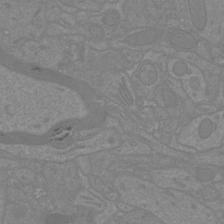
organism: Mouse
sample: Cortical neurons